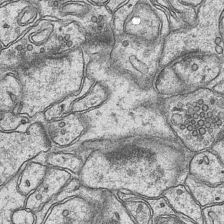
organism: Mouse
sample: CA1 Hippocampus